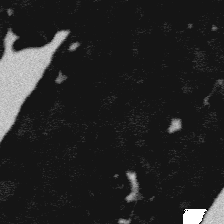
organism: Platynereis dumerilii